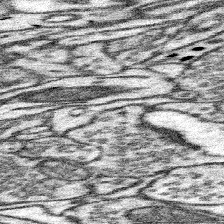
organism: Mouse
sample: Somatosensory cortex neuropil